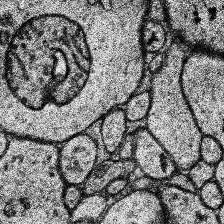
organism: Human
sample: Temporal Lobe